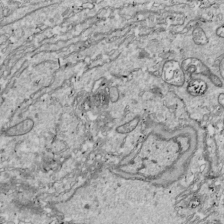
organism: Drosophila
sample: Cell division; meiosis; drosophila spermatocytes